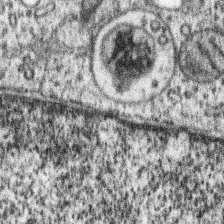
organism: Human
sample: HeLa cells